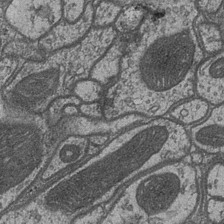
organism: Drosophila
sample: Optic medulla